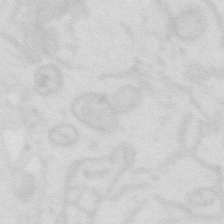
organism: Human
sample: HeLa cells